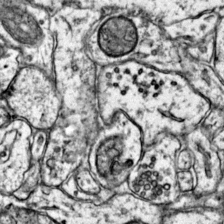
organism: Mouse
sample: Primary visual cortex